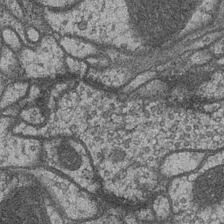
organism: Drosophila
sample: Optic medulla